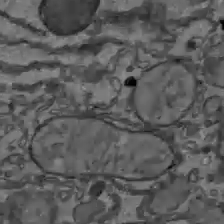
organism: C57BL Mouse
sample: Liver